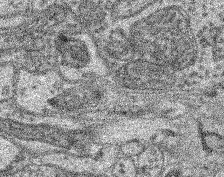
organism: Mouse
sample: Retina